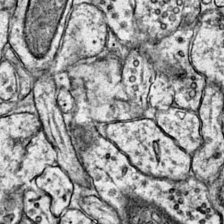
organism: Mouse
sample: Primary visual cortex